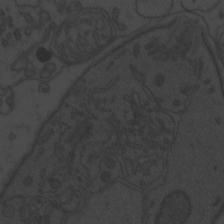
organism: Zebrafish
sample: Macrophage infected with Toxoplasma gondii